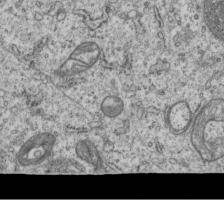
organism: Human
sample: MDA-MB-231 cells